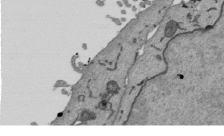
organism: Mouse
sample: ED-1 cell nuclei; centrioles